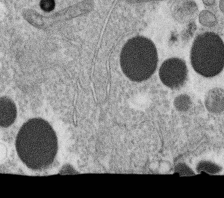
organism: C. elegans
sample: C. elegans oocyte; sperm cells